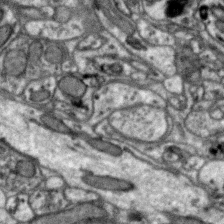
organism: Zebra finch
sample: Brain